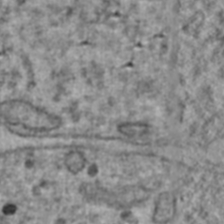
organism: Human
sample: Blood